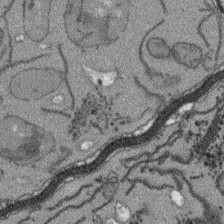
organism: Arabidopsis thaliana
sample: Root tip